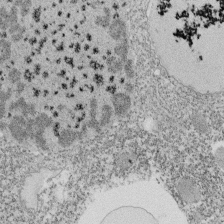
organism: Tetrahymena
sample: Cilia in tetrahymena